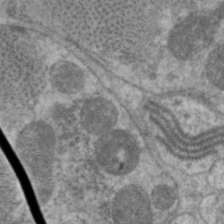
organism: C. elegans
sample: Pharynx